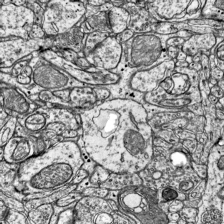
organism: Mouse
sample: Visual Cortex